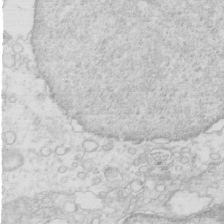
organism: Mouse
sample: Multiciliated cells